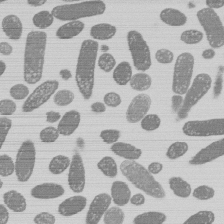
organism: E. coli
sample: Bacterial nucleoid